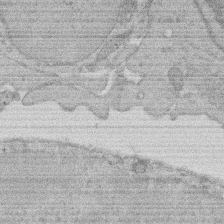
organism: Rat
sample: Salivary granule